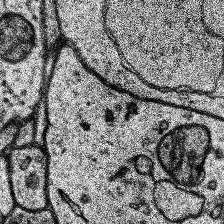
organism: Human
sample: Temporal Lobe